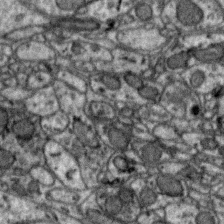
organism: Zebra finch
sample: Brain